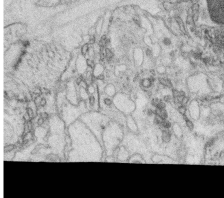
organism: C. elegans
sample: C. elegans oocyte; sperm cells